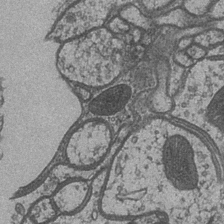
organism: Drosophila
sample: Optic medulla